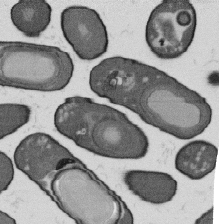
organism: B. subtilis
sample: Bacterial spore